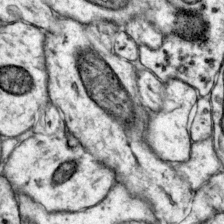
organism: Mouse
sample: Primary visual cortex